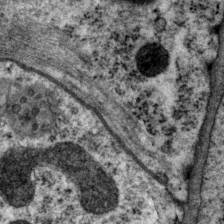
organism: P. pacificus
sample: Pharynx